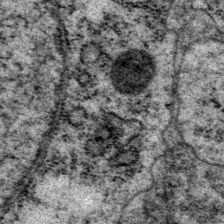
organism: P. pacificus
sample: Pharynx